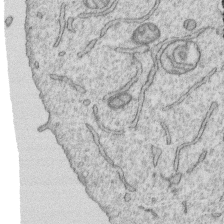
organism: Human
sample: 1205lu cells